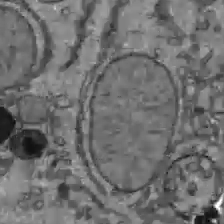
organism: C57BL Mouse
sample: Liver